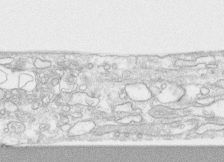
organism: Human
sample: CRL-1474